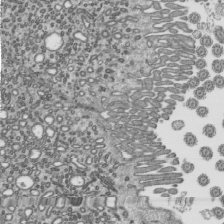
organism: Mouse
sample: Mouse epididymis efferent ductule cilia